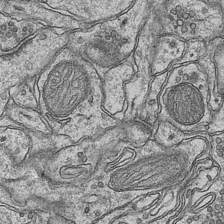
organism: Mouse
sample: CA1 Hippocampus